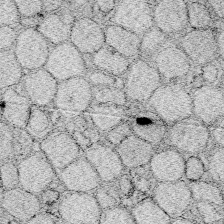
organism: Zebrafish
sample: Whole-Brain